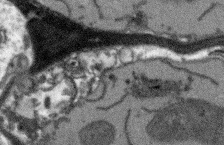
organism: Arabidopsis thaliana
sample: Root tip